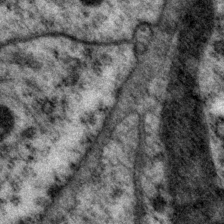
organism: P. pacificus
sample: Pharynx